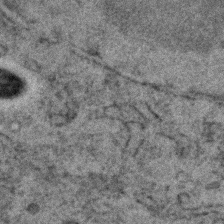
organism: C. elegans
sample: C. elegans embryo